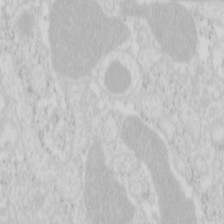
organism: Mouse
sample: Pancreas